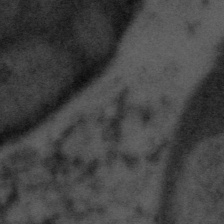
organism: Tuwongella immobilis